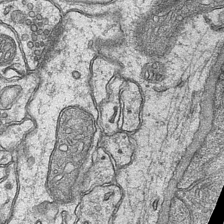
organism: Mouse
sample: CA1 Hippocampus